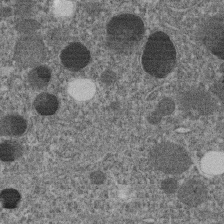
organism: C. elegans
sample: C. elegans embryo early stage